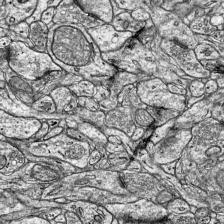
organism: Mouse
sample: Visual Cortex